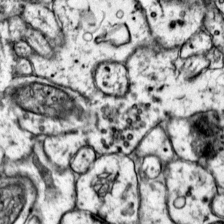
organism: Mouse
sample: Primary visual cortex